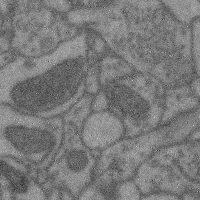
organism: Mouse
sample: Cerebral cortex